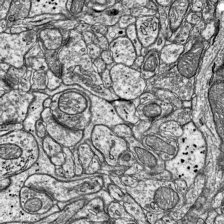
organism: Mouse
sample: Visual Cortex